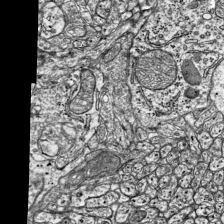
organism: Mouse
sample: Visual Cortex